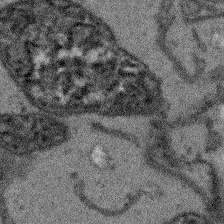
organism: Arabidopsis thaliana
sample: Root tip